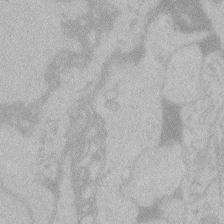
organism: Zebrafish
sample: Macrophage infected with Toxoplasma gondii